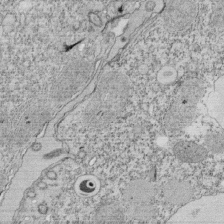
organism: Tetrahymena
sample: Cilia in tetrahymena